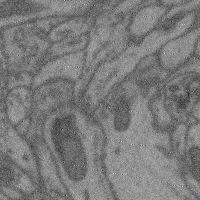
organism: Mouse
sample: Cerebral cortex